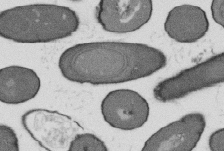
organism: B. subtilis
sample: Bacterial spore